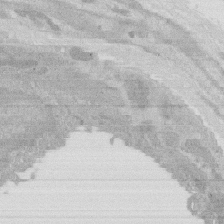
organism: Rat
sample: Salivary granule